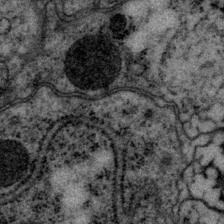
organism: P. pacificus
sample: Pharynx